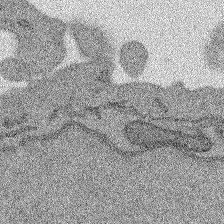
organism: Human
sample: HeLa cells